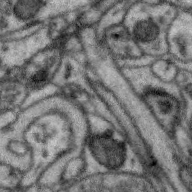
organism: Zebra finch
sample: Brain